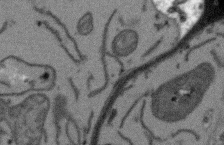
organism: Arabidopsis thaliana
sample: Root tip